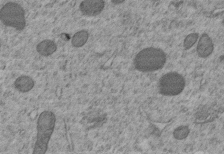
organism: C. elegans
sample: C. elegans embryo early stage